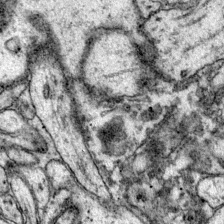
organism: Mouse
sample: Primary visual cortex